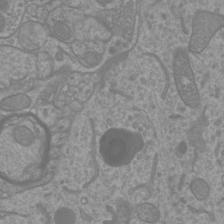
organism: Mouse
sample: Cortical neurons